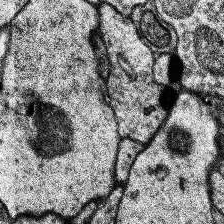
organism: Human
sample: Temporal Lobe